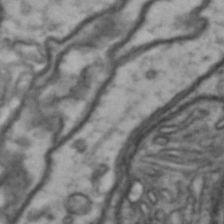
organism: Drosophila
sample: Brain